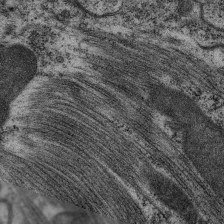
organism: C. elegans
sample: Pharynx